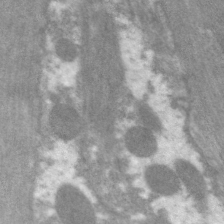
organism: C. elegans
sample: Pharynx